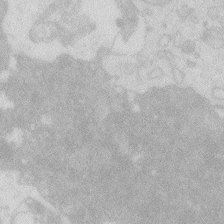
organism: Zebrafish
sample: Macrophage